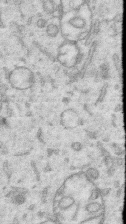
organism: Human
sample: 1205lu cells